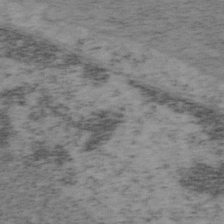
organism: Mouse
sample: OT-I killer T cells with ID8 ovarian cancer cells